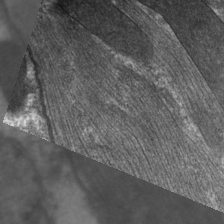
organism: C. elegans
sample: Pharynx